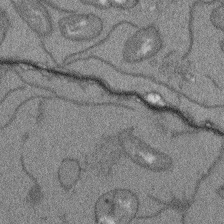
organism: Arabidopsis thaliana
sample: Root tip